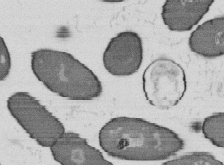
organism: B. subtilis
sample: Bacterial spore